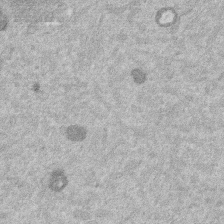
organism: Mouse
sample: Dividing mouse embryo 1 cell stage